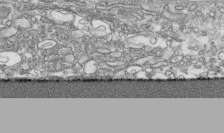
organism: Human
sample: CRL-1474